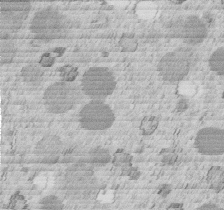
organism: C. elegans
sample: C. elegans embryo early stage